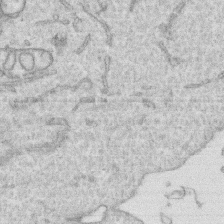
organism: Human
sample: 1205lu cells